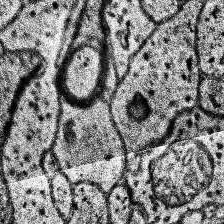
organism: Human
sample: Temporal Lobe